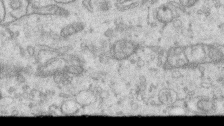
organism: Human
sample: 1205lu cells